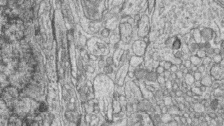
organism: Zebrafish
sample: synaptic ribbons in rod cells and cone cells